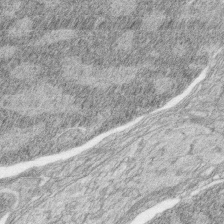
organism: Zebrafish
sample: synaptic ribbons in rod cells and cone cells